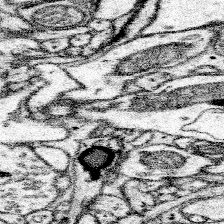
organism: Mouse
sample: Somatosensory cortex neuropil